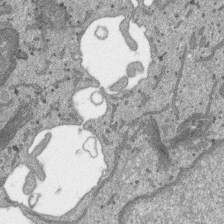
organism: Human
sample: Lung epithelial cells infected with SARS-CoV-2